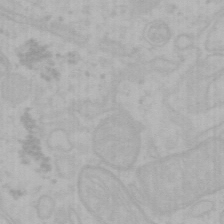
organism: Mouse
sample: Choroid plexus